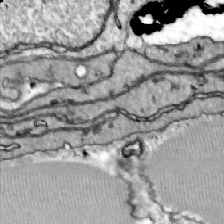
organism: Zebrafish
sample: Actinotrichia fibers